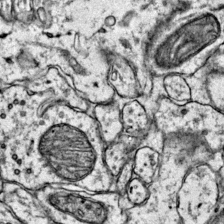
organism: Mouse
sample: Primary visual cortex